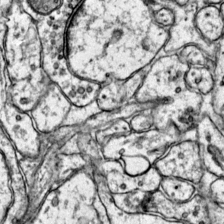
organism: Mouse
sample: Primary visual cortex